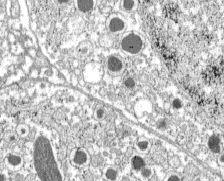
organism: C57BL Mouse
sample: Pancreatic islet